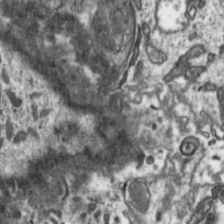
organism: Toxoplasma gondii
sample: Parasites in a vacuole inside a host cell